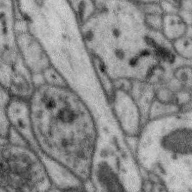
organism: Zebra finch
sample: Brain